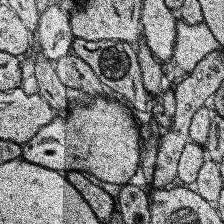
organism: Human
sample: Temporal Lobe